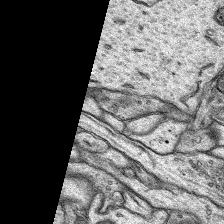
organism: Rat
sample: Hippocampus